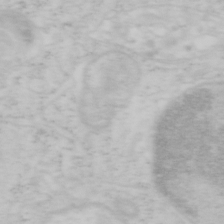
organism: Mouse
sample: OT-I killer T cells with ID8 ovarian cancer cells